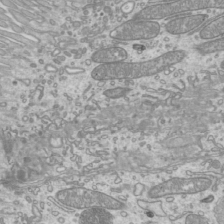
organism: Mouse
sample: Cilia; mouse epididymis